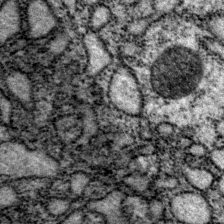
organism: P. pacificus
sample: Pharynx